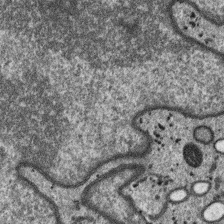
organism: Human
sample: Lung epithelial cells infected with SARS-CoV-2